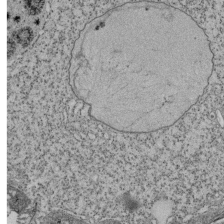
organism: Tetrahymena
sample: Cilia in tetrahymena